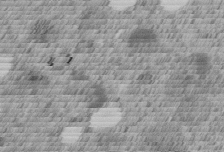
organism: C. elegans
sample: C. elegans embryo early stage